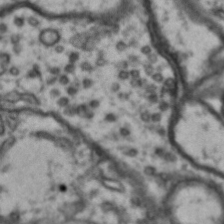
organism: Drosophila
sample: Brain